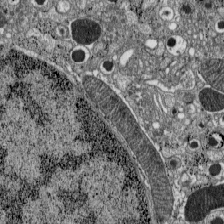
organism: C57BL Mouse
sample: Pancreatic islet